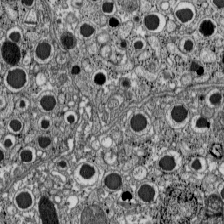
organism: C57BL Mouse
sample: Pancreatic islet